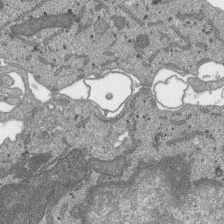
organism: Human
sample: Lung epithelial cells infected with SARS-CoV-2